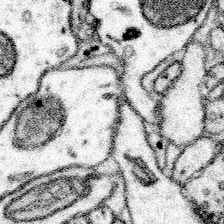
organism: Mouse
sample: Somatosensory cortex neuropil